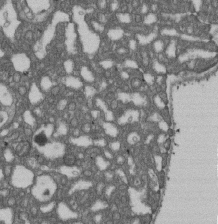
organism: Drosophila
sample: Nephrocyte